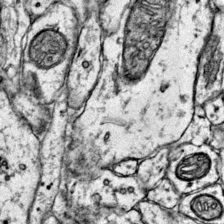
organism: Mouse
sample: Primary visual cortex